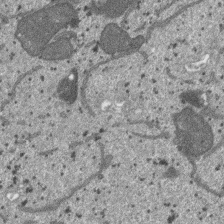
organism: Human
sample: Lung epithelial cells infected with SARS-CoV-2